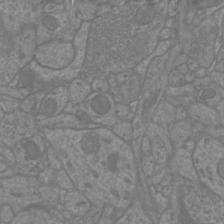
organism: Mouse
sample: Cortical neurons